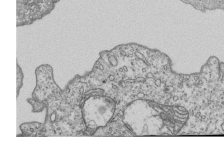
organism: Human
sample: MDA-MB-231 cells